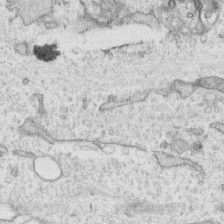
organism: Human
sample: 1205lu cells